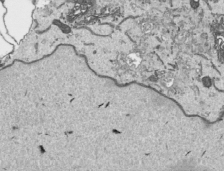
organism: Human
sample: Mitochondria in HCT116 cells